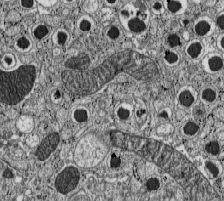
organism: C57BL Mouse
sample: Pancreatic islet